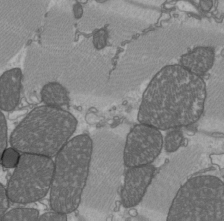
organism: C57BL Mouse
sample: Heart